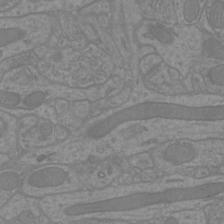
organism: Mouse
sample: Cortical neurons